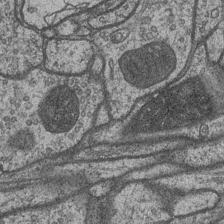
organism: Drosophila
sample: Optic medulla